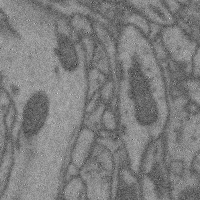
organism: Mouse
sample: Cerebral cortex